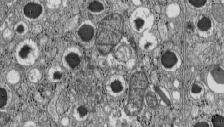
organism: C57BL Mouse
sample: Pancreatic islet